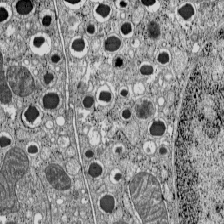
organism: C57BL Mouse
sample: Pancreatic islet